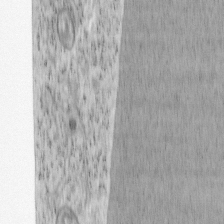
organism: Human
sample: HeLa cells